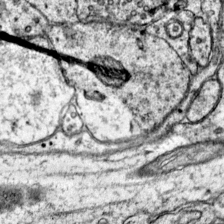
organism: Mouse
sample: Primary visual cortex